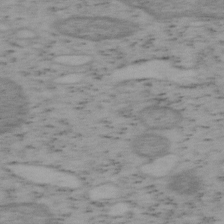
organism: Mouse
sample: OT-I killer T cells with ID8 ovarian cancer cells